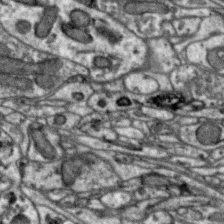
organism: Zebra finch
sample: Brain